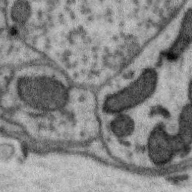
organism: Zebra finch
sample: Brain